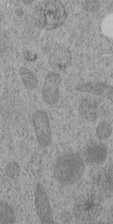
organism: C. elegans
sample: C. elegans embryo early stage